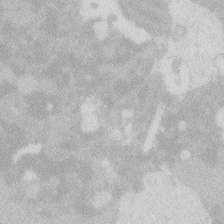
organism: Zebrafish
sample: Macrophage